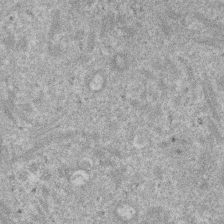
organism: Mouse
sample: Dividing mouse embryo 1 cell stage